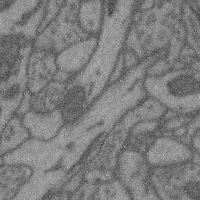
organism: Mouse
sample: Cerebral cortex